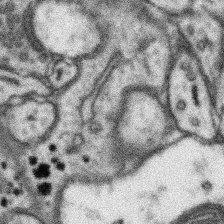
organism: Mouse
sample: Somatosensory cortex neuropil